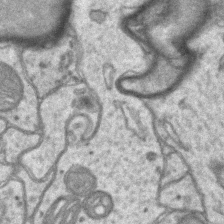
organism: Mouse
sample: CA1 Hippocampus